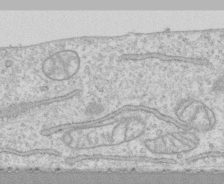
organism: Human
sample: CRL-1474